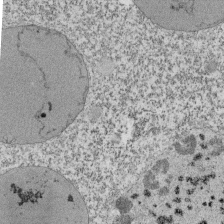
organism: Tetrahymena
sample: Cilia in tetrahymena